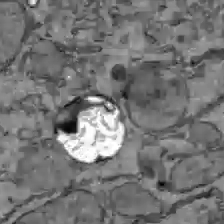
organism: C57BL Mouse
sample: Liver